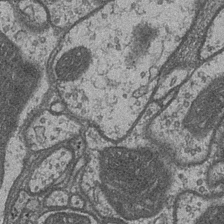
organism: Drosophila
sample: Optic medulla